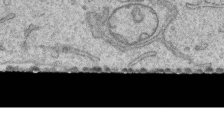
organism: Human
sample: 1205lu cells